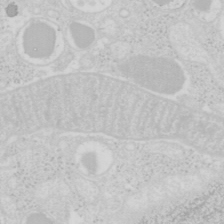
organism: Mouse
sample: Pancreas